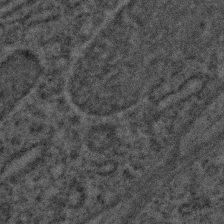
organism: C. elegans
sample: C. elegans embryo